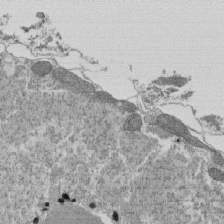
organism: Tetrahymena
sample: Cilia in tetrahymena